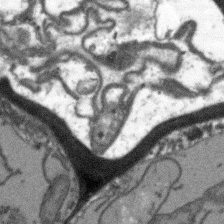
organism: Arabidopsis thaliana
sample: Root tip